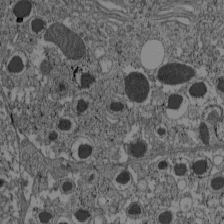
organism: C57BL Mouse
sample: Pancreatic islet